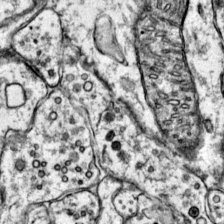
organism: Mouse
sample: Primary visual cortex